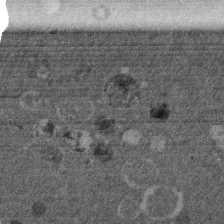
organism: Mouse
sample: Dividing mouse embryo 1 cell stage